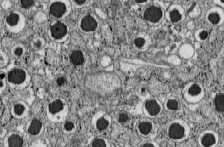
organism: C57BL Mouse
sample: Pancreatic islet